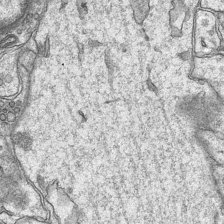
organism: Mouse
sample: CA1 Hippocampus